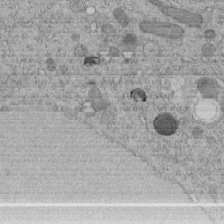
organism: C. elegans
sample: C. elegans embryo early stage